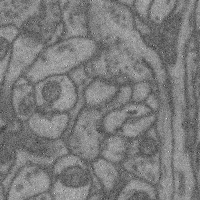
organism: Mouse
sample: Cerebral cortex